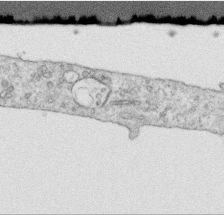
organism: Human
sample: Centriole in RPE cells